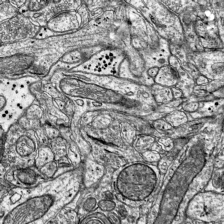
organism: Mouse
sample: Visual Cortex